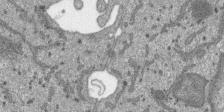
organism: Human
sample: Lung epithelial cells infected with SARS-CoV-2